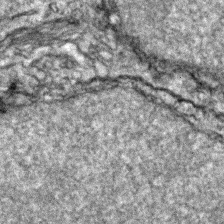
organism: Zebrafish